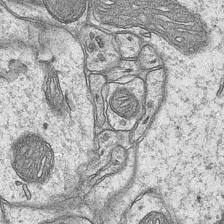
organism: Mouse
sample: CA1 Hippocampus